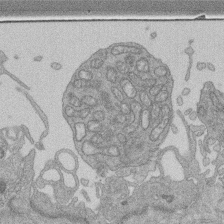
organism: Human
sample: Retinal organoid Rod and Cone cells